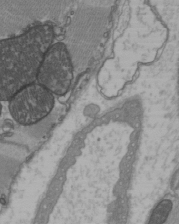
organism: C57BL Mouse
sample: Heart